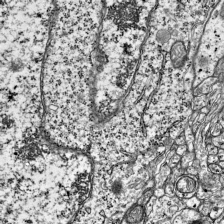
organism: Mouse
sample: Visual Cortex